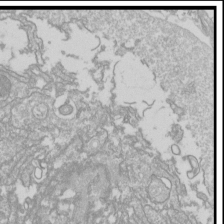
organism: Drosophila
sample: Cell division; meiosis; drosophila spermatocytes